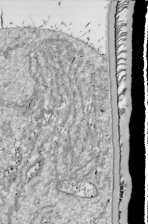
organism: Drosophila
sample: Cell division; meiosis; drosophila spermatocytes